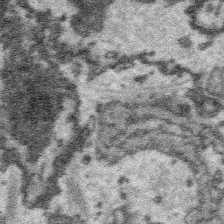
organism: Platynereis dumerilii